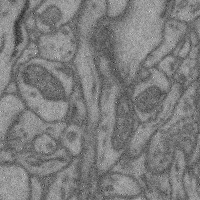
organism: Mouse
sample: Cerebral cortex